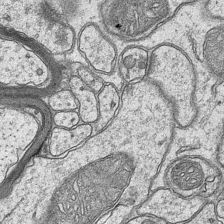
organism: Mouse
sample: CA1 Hippocampus